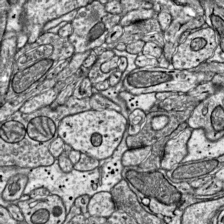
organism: Mouse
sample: Visual Cortex